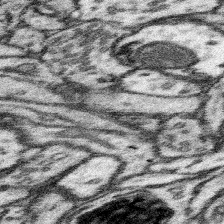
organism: Mouse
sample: Somatosensory cortex neuropil